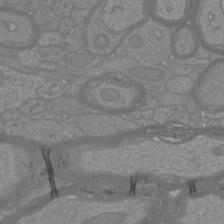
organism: Mouse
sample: Cortical neurons